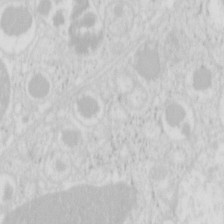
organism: Mouse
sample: Pancreas